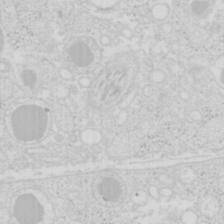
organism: Mouse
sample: Pancreas